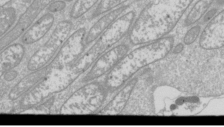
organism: Drosophila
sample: Cell division; meiosis; drosophila spermatocytes